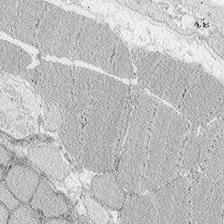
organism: Zebrafish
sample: Whole-Brain